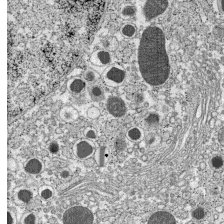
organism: C57BL Mouse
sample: Pancreatic islet